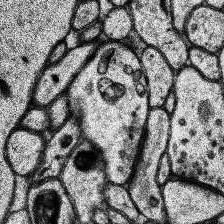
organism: Human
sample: Temporal Lobe